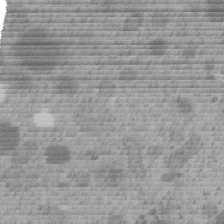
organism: C. elegans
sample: C. elegans embryo early stage